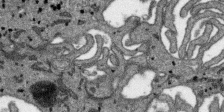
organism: Human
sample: Lung epithelial cells, uninfected (mock) control